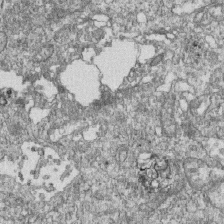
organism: Human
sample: HeLa cell HIV synapse